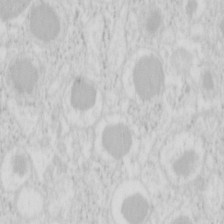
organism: Mouse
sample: Pancreas